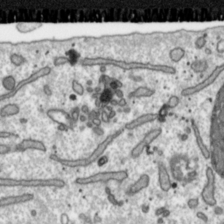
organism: Toxoplasma gondii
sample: Parasites in a vacuole inside a host cell